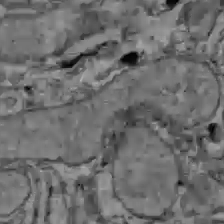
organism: C57BL Mouse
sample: Liver